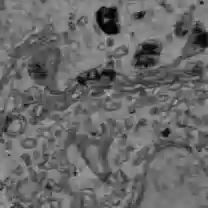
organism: C57BL Mouse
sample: Liver